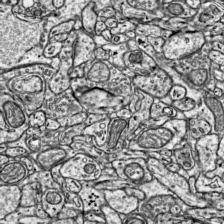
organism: Mouse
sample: Visual Cortex